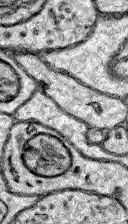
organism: Zebrafish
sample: Brain